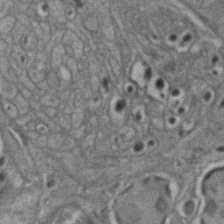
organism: C. elegans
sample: C. elegans embryo